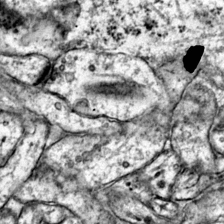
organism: Mouse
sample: Primary visual cortex